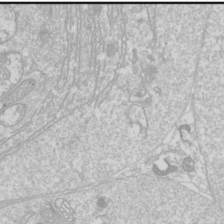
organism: Drosophila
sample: Cell division; meiosis; drosophila spermatocytes